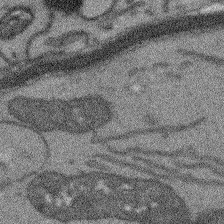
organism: Arabidopsis thaliana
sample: Root tip